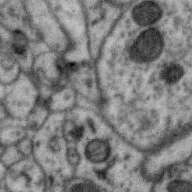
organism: Zebra finch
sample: Brain